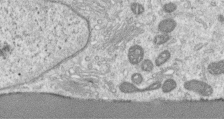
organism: Human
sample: Centriole in RPE cells